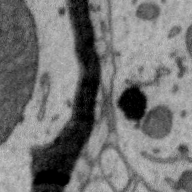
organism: Zebra finch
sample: Brain